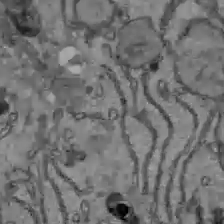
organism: C57BL Mouse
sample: Liver